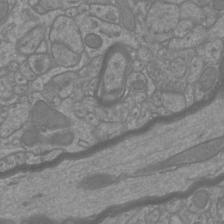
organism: Mouse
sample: Cortical neurons